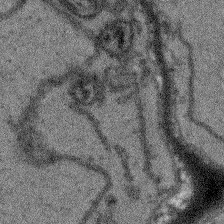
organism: Arabidopsis thaliana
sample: Root tip